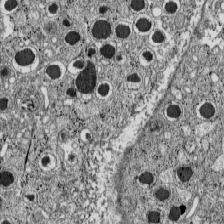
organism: C57BL Mouse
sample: Pancreatic islet